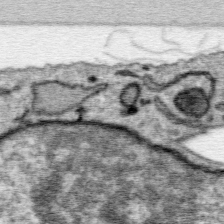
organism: Human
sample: HeLa cells